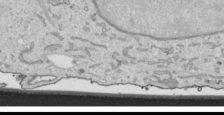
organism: Human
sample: Mitochondria in HCT116 cells